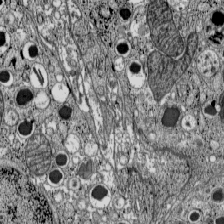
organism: C57BL Mouse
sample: Pancreatic islet